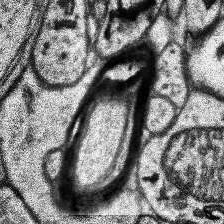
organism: Human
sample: Temporal Lobe